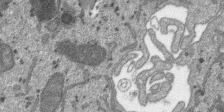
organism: Human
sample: Lung epithelial cells infected with SARS-CoV-2